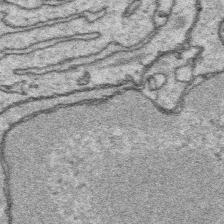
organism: Platynereis dumerilii